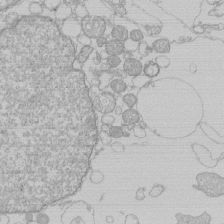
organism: Human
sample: Macrophage cells